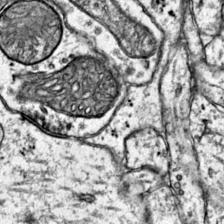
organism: Mouse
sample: Primary visual cortex